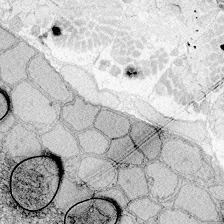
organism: Zebrafish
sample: Whole-Brain